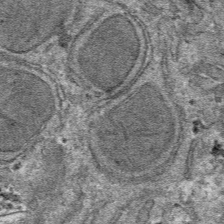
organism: Mouse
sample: Mouse hepatocytes